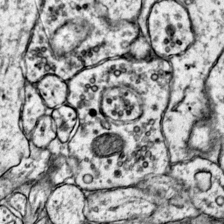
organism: Mouse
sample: Primary visual cortex